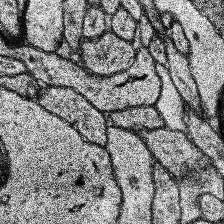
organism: Human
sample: Temporal Lobe